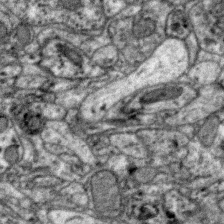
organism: Zebra finch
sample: Brain